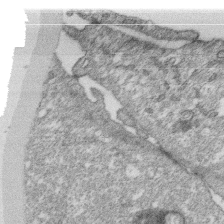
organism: African green monkey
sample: Vero E6 cells infected with SARS-CoV-2